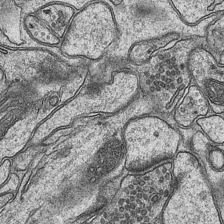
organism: Mouse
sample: CA1 Hippocampus